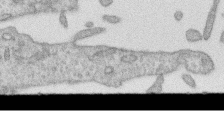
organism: Human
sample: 1205lu cells